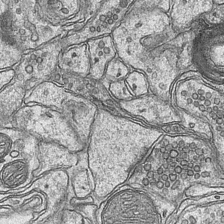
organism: Mouse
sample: CA1 Hippocampus